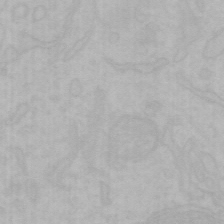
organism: Mouse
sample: Choroid plexus